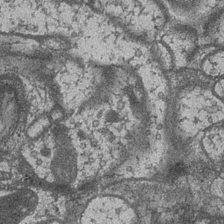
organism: Drosophila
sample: Optic medulla